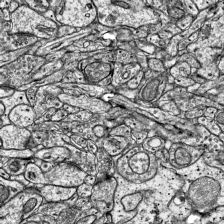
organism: Mouse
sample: Visual Cortex